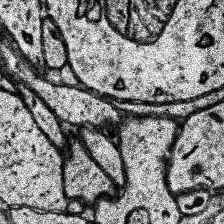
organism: Human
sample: Temporal Lobe